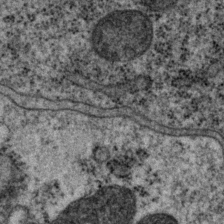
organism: P. pacificus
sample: Pharynx